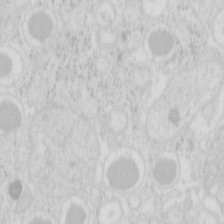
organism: Mouse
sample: Pancreas